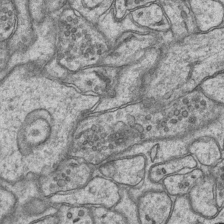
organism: Mouse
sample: CA1 Hippocampus